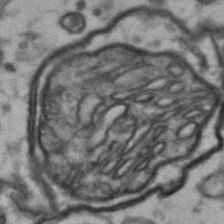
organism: Drosophila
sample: Brain